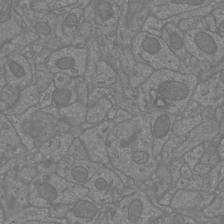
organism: Mouse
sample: Cortical neurons